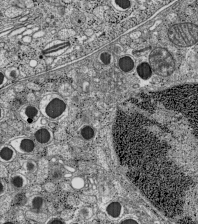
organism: C57BL Mouse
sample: Pancreatic islet